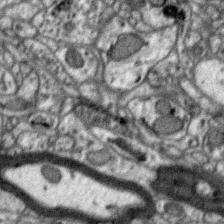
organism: Zebra finch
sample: Brain